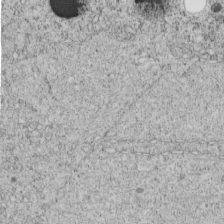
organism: C. elegans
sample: C. elegans embryo early stage